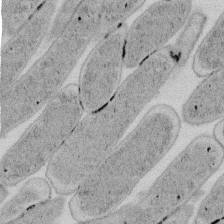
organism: E. coli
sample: Bacterial nucleoid